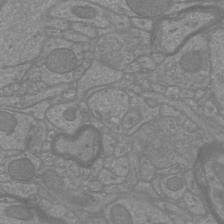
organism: Mouse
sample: Cortical neurons